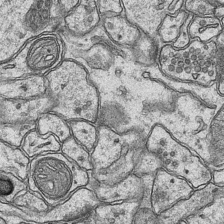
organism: Mouse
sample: CA1 Hippocampus